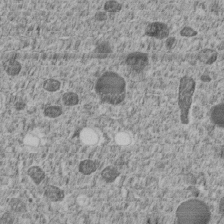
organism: C. elegans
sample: C. elegans embryo early stage